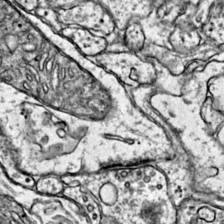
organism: Mouse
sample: Primary visual cortex